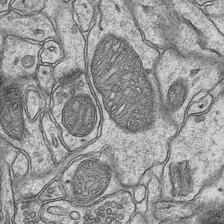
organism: Mouse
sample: CA1 Hippocampus